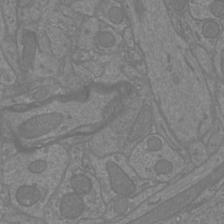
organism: Mouse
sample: Cortical neurons